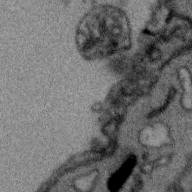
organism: Zebra finch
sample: Brain